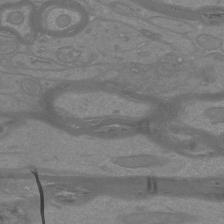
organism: Mouse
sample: Cortical neurons